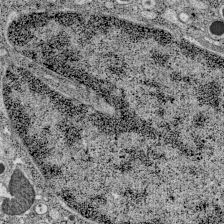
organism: C57BL Mouse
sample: Pancreatic islet